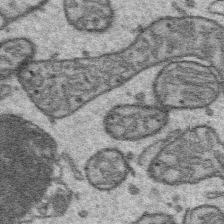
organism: Platynereis dumerilii